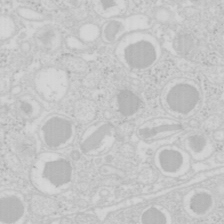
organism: Mouse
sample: Pancreas